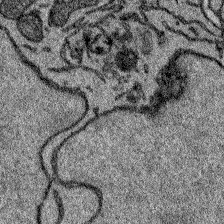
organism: Zebrafish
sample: Larval olfactory bulb